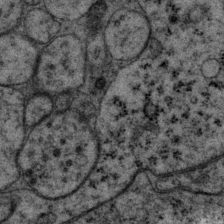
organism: P. pacificus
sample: Pharynx